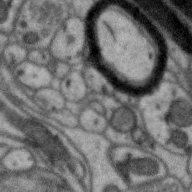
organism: Zebra finch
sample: Brain